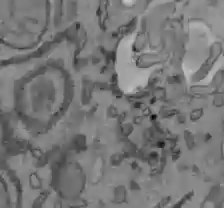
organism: C57BL Mouse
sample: Liver